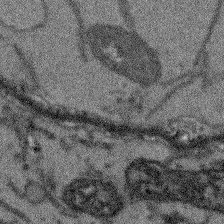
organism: Arabidopsis thaliana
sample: Root tip